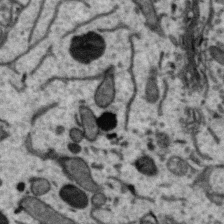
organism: Zebra finch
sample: Brain